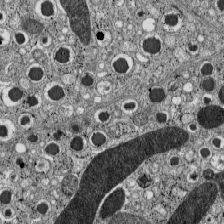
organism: C57BL Mouse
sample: Pancreatic islet